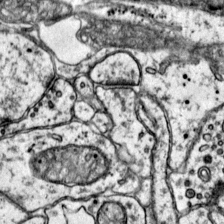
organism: Mouse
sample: Primary visual cortex